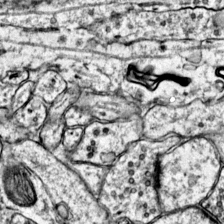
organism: Mouse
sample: Primary visual cortex